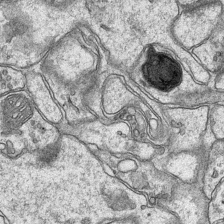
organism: Mouse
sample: CA1 Hippocampus